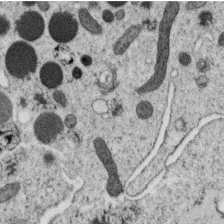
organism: C. elegans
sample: C. elegans oocyte; sperm cells